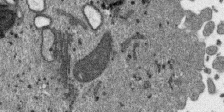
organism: Human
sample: Lung epithelial cells infected with SARS-CoV-2